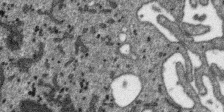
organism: Human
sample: Lung epithelial cells infected with SARS-CoV-2